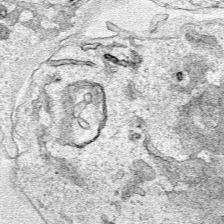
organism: Human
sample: Mitochondria in HCT116 cells